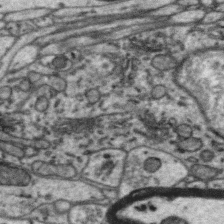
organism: Zebra finch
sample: Brain